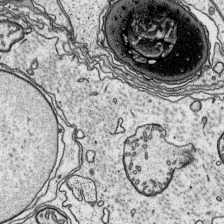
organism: Platynereis dumerilii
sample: Parapodia